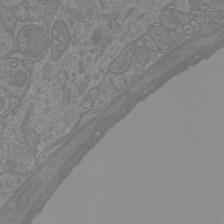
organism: Mouse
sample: Cortical neurons